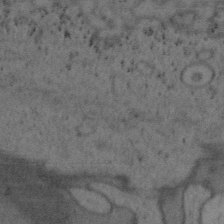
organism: Human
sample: HeLa cells